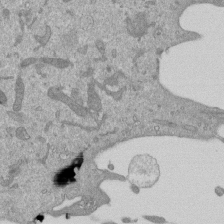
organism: Mouse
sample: ED-1 cell nuclei; centrioles